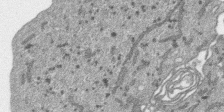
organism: Human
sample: Lung epithelial cells infected with SARS-CoV-2